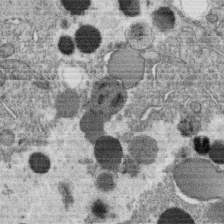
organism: C. elegans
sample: C. elegans oocyte; sperm cells